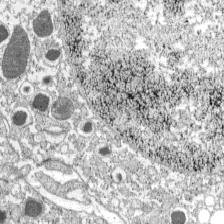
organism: C57BL Mouse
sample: Pancreatic islet